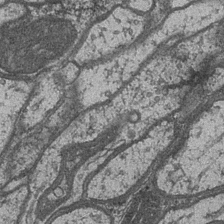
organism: Drosophila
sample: Optic medulla